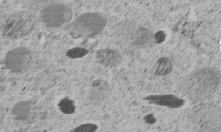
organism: C. elegans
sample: C. elegans embryo early stage